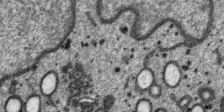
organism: Human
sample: Lung epithelial cells infected with SARS-CoV-2